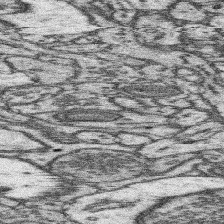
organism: Mouse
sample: Somatosensory cortex neuropil